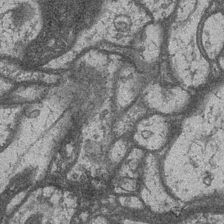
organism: Drosophila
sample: Optic medulla